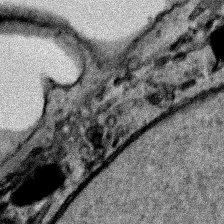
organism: Human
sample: Mitochondria in HCT116 cells